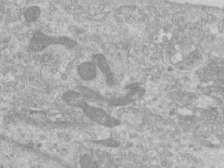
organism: Human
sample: Centriole in RPE cells